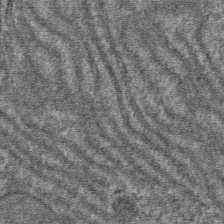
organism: Mouse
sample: Mouse hepatocytes